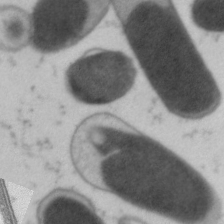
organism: C. elegans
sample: Pharynx